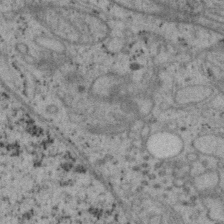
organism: Human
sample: HeLa cells